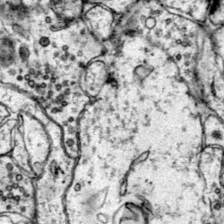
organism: Mouse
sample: Primary visual cortex